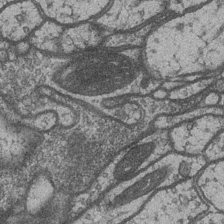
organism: Drosophila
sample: Optic medulla